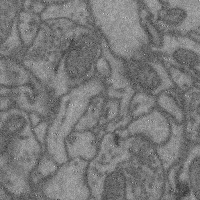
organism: Mouse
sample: Cerebral cortex